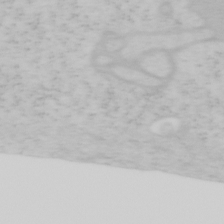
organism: Mouse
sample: OT-I killer T cells with ID8 ovarian cancer cells